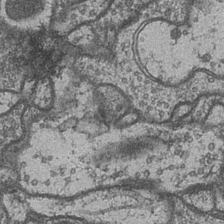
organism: Drosophila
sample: Optic medulla